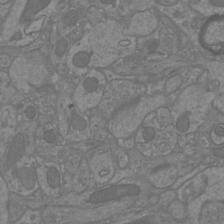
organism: Mouse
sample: Cortical neurons